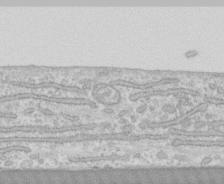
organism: Human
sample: CRL-1474